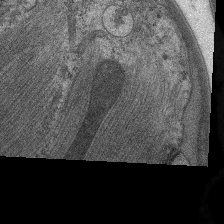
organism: C. elegans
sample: Pharynx